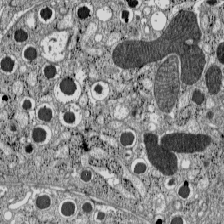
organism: C57BL Mouse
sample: Pancreatic islet